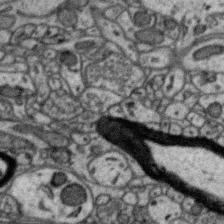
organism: Zebra finch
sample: Brain